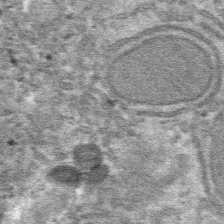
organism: Mouse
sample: Mouse hepatocytes